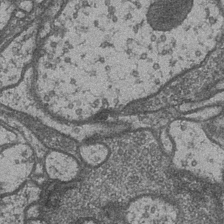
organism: Drosophila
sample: Optic medulla